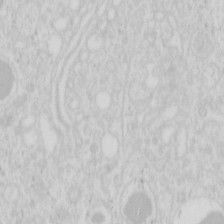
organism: Mouse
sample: Pancreas